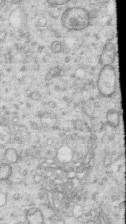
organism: Human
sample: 1205lu cells